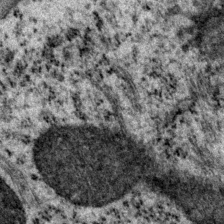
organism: P. pacificus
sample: Pharynx